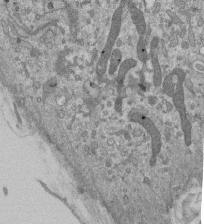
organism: Mouse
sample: ED-1 cell nuclei; centrioles